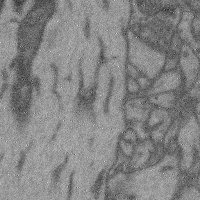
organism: Mouse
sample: Cerebral cortex